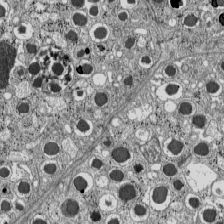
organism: C57BL Mouse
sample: Pancreatic islet